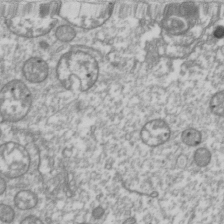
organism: Drosophila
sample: Cell division; meiosis; drosophila spermatocytes